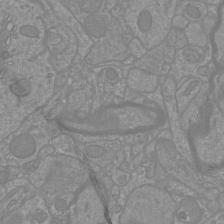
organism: Mouse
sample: Cortical neurons